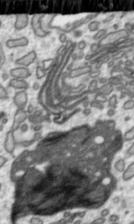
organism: Toxoplasma gondii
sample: Parasites in a vacuole inside a host cell